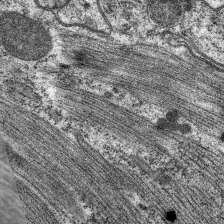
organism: C. elegans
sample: Pharynx